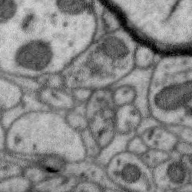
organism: Zebra finch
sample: Brain